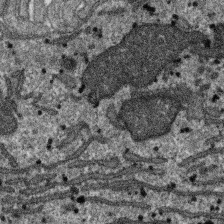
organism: Human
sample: Lung epithelial cells infected with SARS-CoV-2